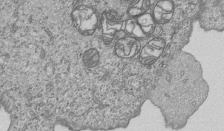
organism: Human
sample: MDA-MB-231 cells